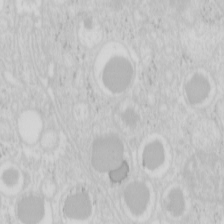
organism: Mouse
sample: Pancreas